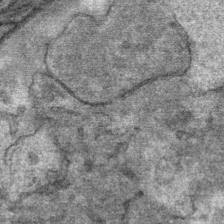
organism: Mouse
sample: Mouse Salivary gland